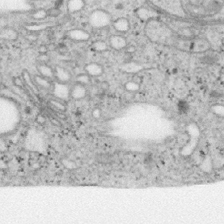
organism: Mouse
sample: OT-I killer T cells with ID8 ovarian cancer cells